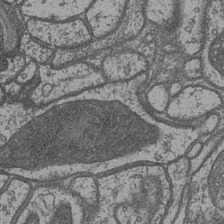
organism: Drosophila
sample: Optic medulla